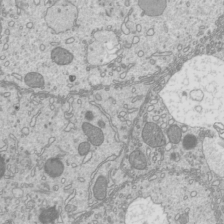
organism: Mouse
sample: Cilia; mouse epididymis